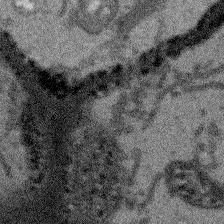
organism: Arabidopsis thaliana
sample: Root tip